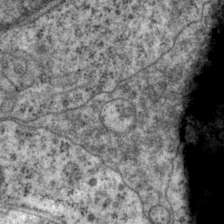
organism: P. pacificus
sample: Pharynx